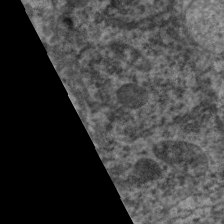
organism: C. elegans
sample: Pharynx